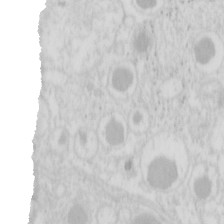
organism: Mouse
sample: Pancreas